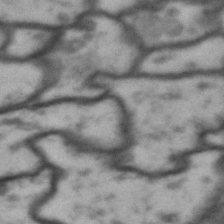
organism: Drosophila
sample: Brain